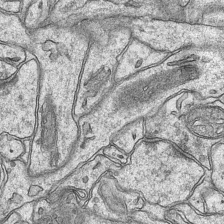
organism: Mouse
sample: CA1 Hippocampus